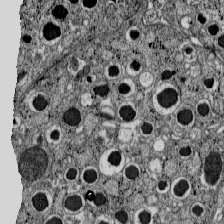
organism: C57BL Mouse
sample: Pancreatic islet